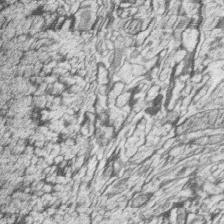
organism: Zebrafish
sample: synaptic ribbons in rod cells and cone cells